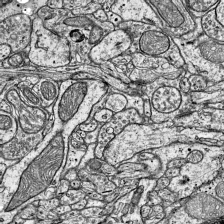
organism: Mouse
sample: Visual Cortex